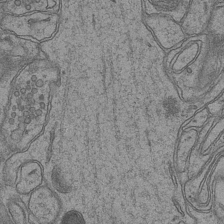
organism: Mouse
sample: CA1 Hippocampus